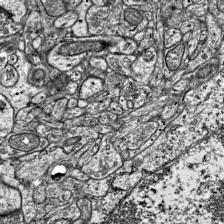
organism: Mouse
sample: Visual Cortex